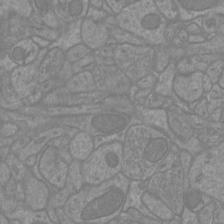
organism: Mouse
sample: Cortical neurons